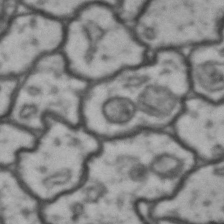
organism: Drosophila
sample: Brain